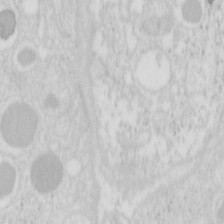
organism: Mouse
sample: Pancreas